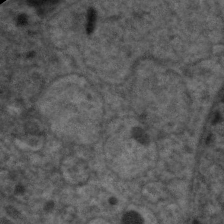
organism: C. elegans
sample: Pharynx